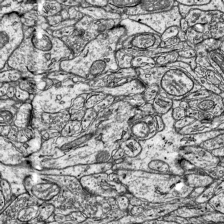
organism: Mouse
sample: Visual Cortex